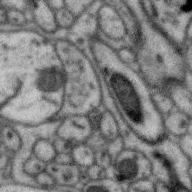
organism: Zebra finch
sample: Brain